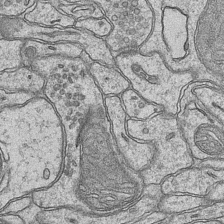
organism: Mouse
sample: CA1 Hippocampus